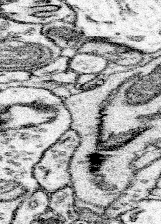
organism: Mouse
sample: Somatosensory cortex neuropil